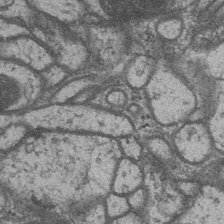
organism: Drosophila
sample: Optic medulla